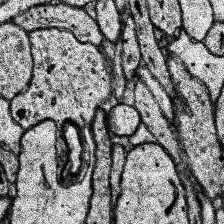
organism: Human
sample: Temporal Lobe